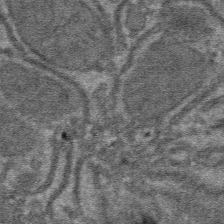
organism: Mouse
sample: Mouse hepatocytes